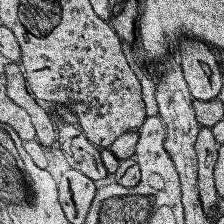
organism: Human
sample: Temporal Lobe